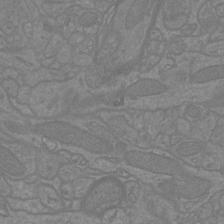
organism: Mouse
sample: Cortical neurons